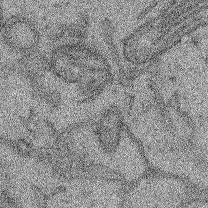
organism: Human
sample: HeLa cells